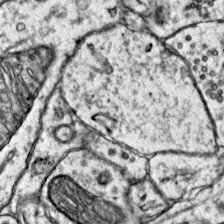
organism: Mouse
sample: Primary visual cortex